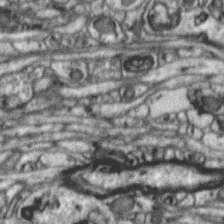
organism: Zebra finch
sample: Brain